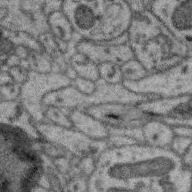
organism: Zebra finch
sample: Brain